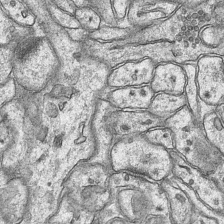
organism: Mouse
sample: CA1 Hippocampus